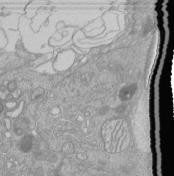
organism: Human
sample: Retinal organoid Rod and Cone cells